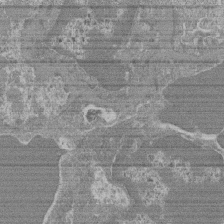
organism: Mouse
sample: Glomerulus